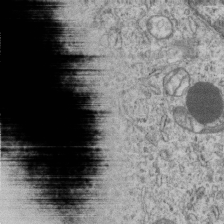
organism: Human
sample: MDA-MB-231 cells